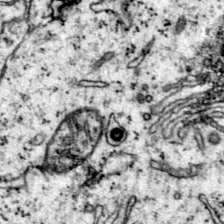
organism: Mouse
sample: Primary visual cortex